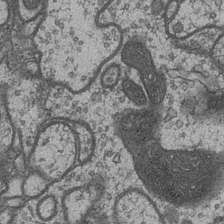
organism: Drosophila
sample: Optic medulla